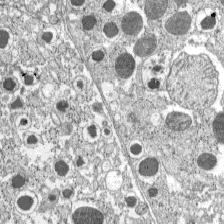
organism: C57BL Mouse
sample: Pancreatic islet